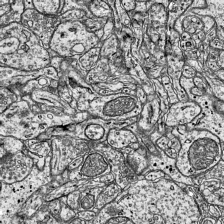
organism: Mouse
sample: Visual Cortex